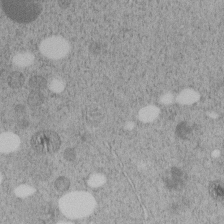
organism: C. elegans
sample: C. elegans embryo early stage